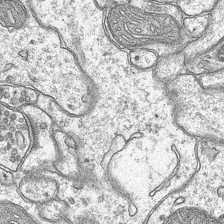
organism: Mouse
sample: CA1 Hippocampus